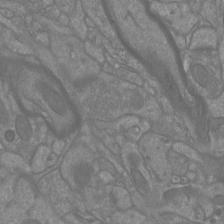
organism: Mouse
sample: Cortical neurons